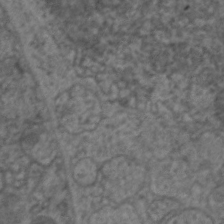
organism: C. elegans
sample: Pharynx